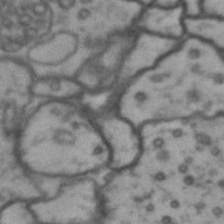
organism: Drosophila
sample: Brain